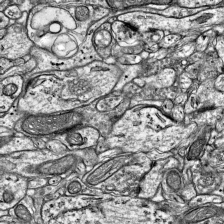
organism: Mouse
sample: Visual Cortex